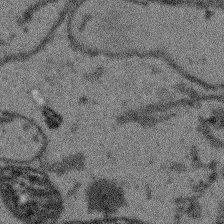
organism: Arabidopsis thaliana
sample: Root tip